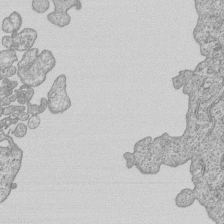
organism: Human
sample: MDA-MB-231 cells